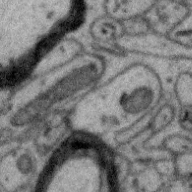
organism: Zebra finch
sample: Brain